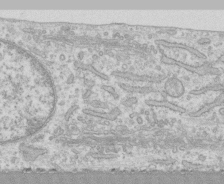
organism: Human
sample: CRL-1474